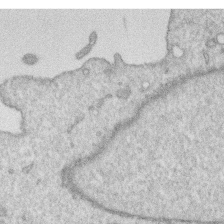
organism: Human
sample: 1205lu cells